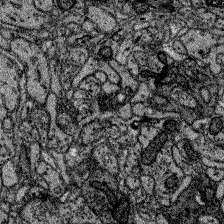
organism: Zebrafish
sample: Larval olfactory bulb